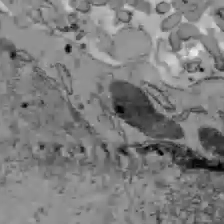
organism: C57BL Mouse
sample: Liver